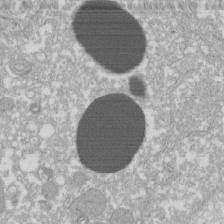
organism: Xenopus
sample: Cilia; centrioles in frog embryo cells